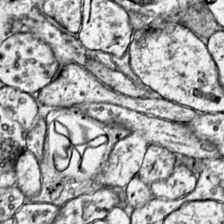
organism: Mouse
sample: Primary visual cortex